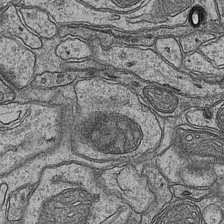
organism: Mouse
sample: CA1 Hippocampus